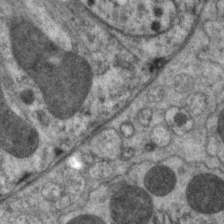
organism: C. elegans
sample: Pharynx